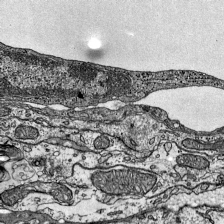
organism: Mouse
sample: Visual Cortex